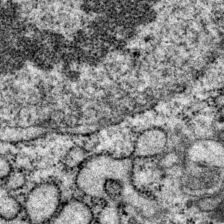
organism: P. pacificus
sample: Pharynx